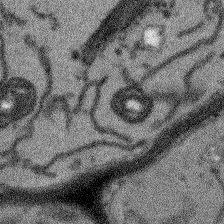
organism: Arabidopsis thaliana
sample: Root tip